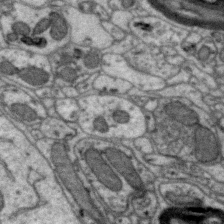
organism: Zebra finch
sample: Brain